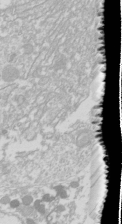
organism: Drosophila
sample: Cell division; meiosis; drosophila spermatocytes